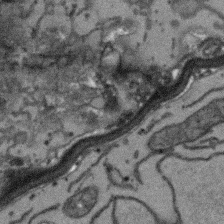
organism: Arabidopsis thaliana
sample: Root tip